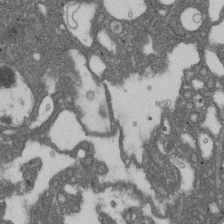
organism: Drosophila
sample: Nephrocyte